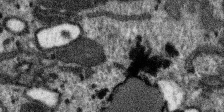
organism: Human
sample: Lung epithelial cells infected with SARS-CoV-2